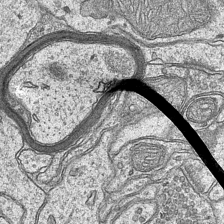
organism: Mouse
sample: CA1 Hippocampus